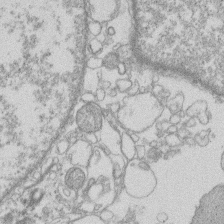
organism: Human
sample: Macrophage cells